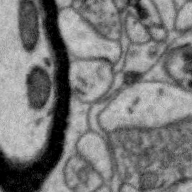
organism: Zebra finch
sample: Brain